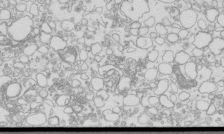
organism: Mouse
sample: Macrophages